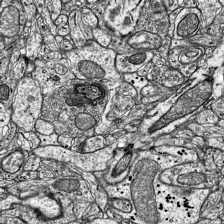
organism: Mouse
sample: Visual Cortex